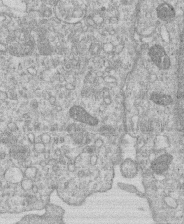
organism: Human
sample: Macrophage cells